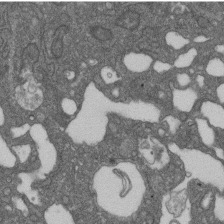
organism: Drosophila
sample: Nephrocyte